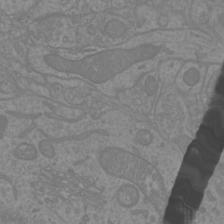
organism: Mouse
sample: Cortical neurons